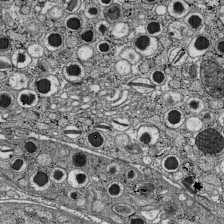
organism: C57BL Mouse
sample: Pancreatic islet